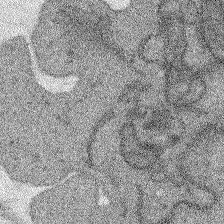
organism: Human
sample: HeLa cells